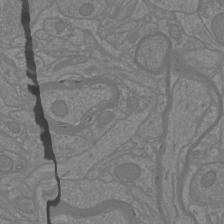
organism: Mouse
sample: Cortical neurons